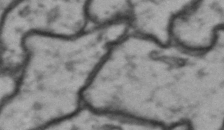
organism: Drosophila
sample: Brain